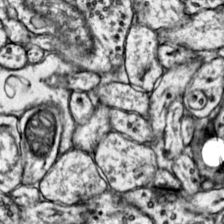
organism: Mouse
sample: Primary visual cortex